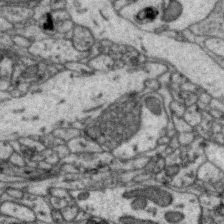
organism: Zebra finch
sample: Brain